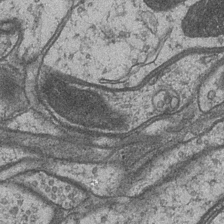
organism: Drosophila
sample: Optic medulla